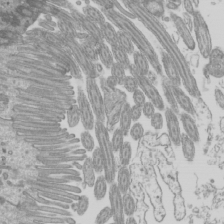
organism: Mouse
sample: Cilia; mouse epididymis